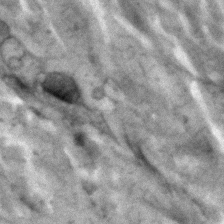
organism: Human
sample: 1205lu cells